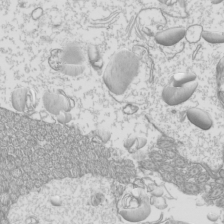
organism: Mouse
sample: Cilia; mouse epididymis